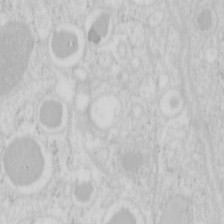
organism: Mouse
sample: Pancreas